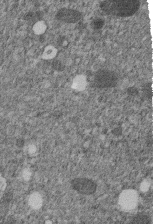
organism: C. elegans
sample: C. elegans embryo early stage